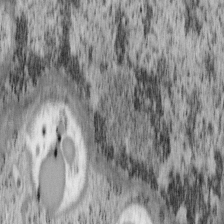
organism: Human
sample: HeLa cells